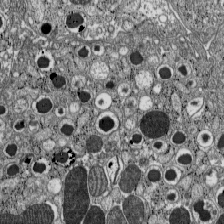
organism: C57BL Mouse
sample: Pancreatic islet